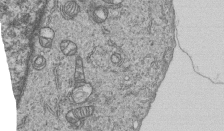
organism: Human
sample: MDA-MB-231 cells